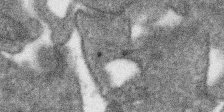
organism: Human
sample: Lung epithelial cells infected with SARS-CoV-2